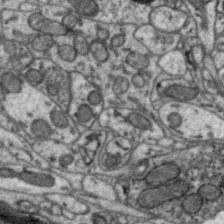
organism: Zebra finch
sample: Brain